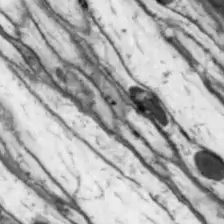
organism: Drosophila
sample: Optic lobe